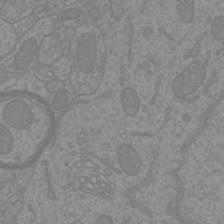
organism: Mouse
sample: Cortical neurons